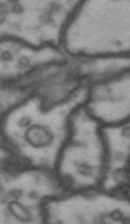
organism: Drosophila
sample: Brain